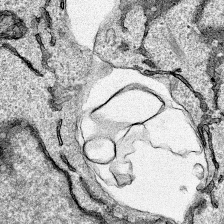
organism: Human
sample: Mitochondria in HCT116 cells